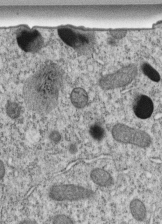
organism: C. elegans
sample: C. elegans embryo early stage